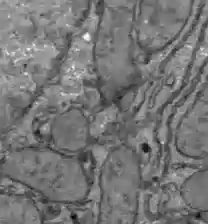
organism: C57BL Mouse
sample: Liver